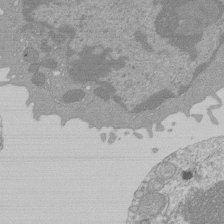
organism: Mouse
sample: Activated Pmel transgenic CD8+ T Cells